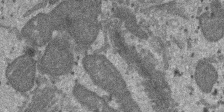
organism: Human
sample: Lung epithelial cells infected with SARS-CoV-2